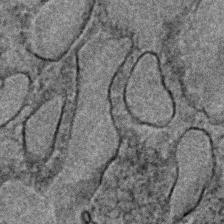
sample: Trachea